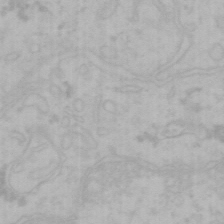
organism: Mouse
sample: Choroid plexus